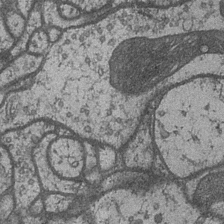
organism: Drosophila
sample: Optic medulla